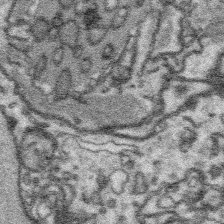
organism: Platynereis dumerilii